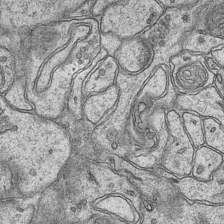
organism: Mouse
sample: CA1 Hippocampus